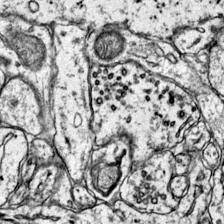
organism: Mouse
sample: Primary visual cortex